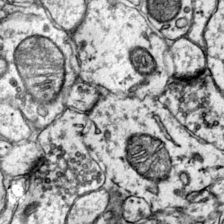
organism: Mouse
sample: Primary visual cortex